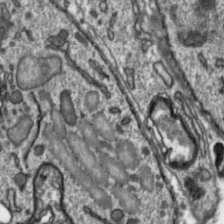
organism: Toxoplasma gondii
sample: Parasites in a vacuole inside a host cell